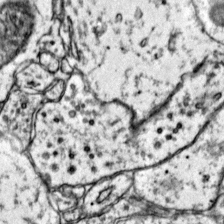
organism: Mouse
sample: Primary visual cortex